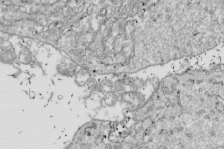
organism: Drosophila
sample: Cell division; meiosis; drosophila spermatocytes